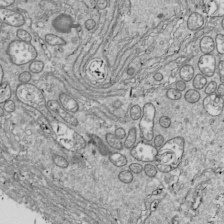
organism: Drosophila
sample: Cell division; meiosis; drosophila spermatocytes